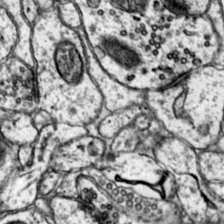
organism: Mouse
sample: Primary visual cortex